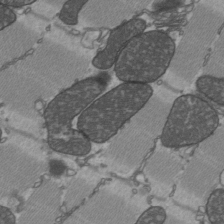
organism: C57BL Mouse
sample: Heart